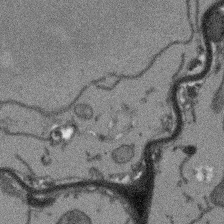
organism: Arabidopsis thaliana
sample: Root tip